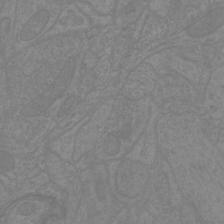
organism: Mouse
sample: Cortical neurons